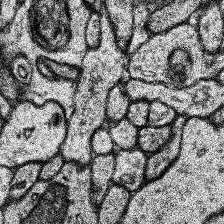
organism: Human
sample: Temporal Lobe